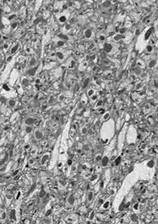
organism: Drosophila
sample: Optic lobe